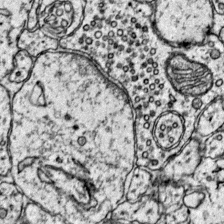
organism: Mouse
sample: Primary visual cortex